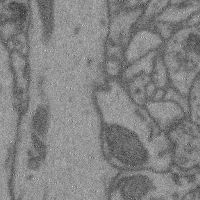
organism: Mouse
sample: Cerebral cortex